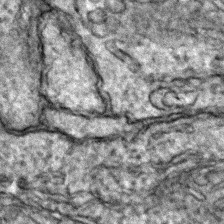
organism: Zebrafish